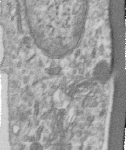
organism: Human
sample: Centriole in RPE cells